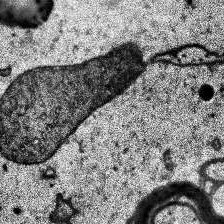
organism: Human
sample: Temporal Lobe